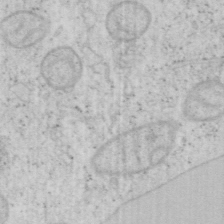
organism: Human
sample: HeLa cells